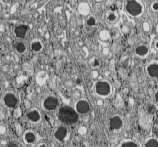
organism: C57BL Mouse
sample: Pancreatic islet